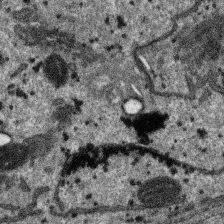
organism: Human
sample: Lung epithelial cells infected with SARS-CoV-2